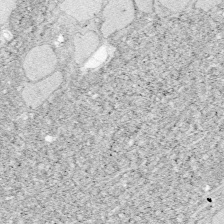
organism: Zebrafish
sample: Whole-Brain